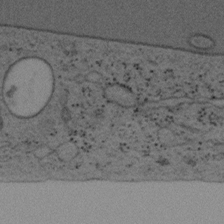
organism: Human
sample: HeLa cells